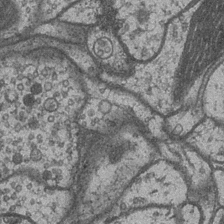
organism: Drosophila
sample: Optic medulla